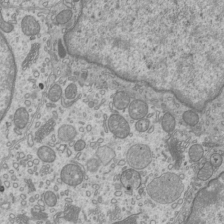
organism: Mouse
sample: Cilia; mouse epididymis